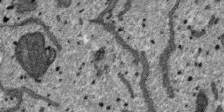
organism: Human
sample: Lung epithelial cells, uninfected (mock) control